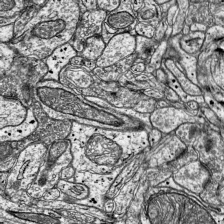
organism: Mouse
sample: Visual Cortex